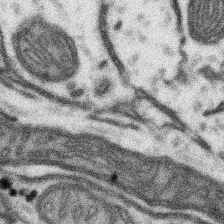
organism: Mouse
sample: Somatosensory cortex neuropil